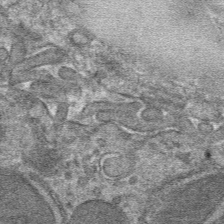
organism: Mouse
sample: Mouse hepatocytes